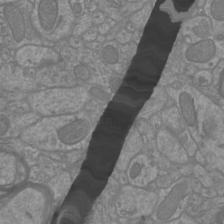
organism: Mouse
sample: Cortical neurons